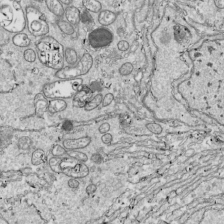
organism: Drosophila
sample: Cell division; meiosis; drosophila spermatocytes